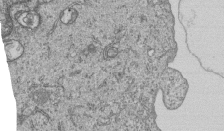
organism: Human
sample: MDA-MB-231 cells